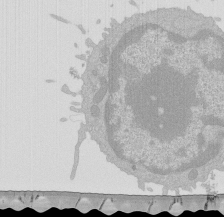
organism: Mouse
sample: Activated Pmel transgenic CD8+ T Cells